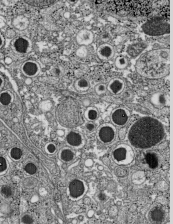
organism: C57BL Mouse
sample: Pancreatic islet